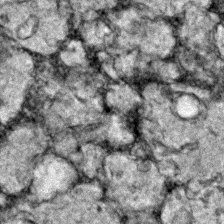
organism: Zebrafish